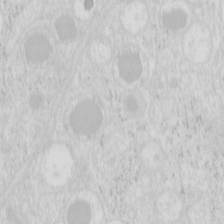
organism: Mouse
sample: Pancreas